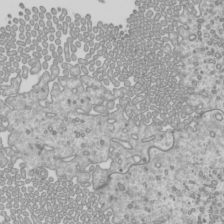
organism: Mouse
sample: Cilia; mouse epididymis